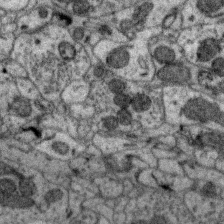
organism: Zebra finch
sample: Brain